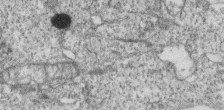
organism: Human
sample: HeLa cell HIV synapse